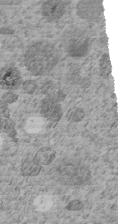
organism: C. elegans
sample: C. elegans embryo early stage